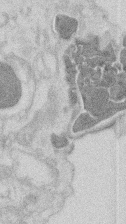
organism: Mouse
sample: T cell stromal cell synapse